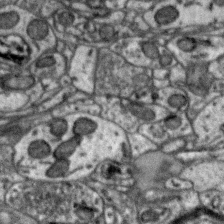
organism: Zebra finch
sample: Brain